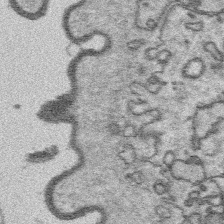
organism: Platynereis dumerilii